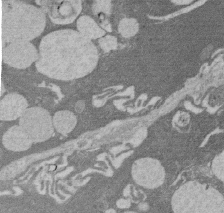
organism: Rat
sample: Salivary granule